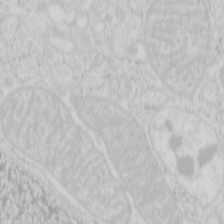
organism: Mouse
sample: Pancreas